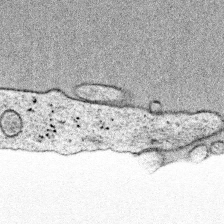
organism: Human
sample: HeLa cells